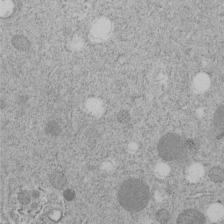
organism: C. elegans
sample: C. elegans embryo early stage